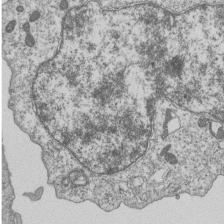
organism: Human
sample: MDA-MB-231 cells